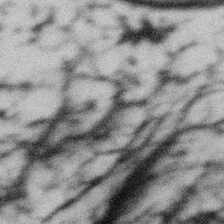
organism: Gemmata obscuriglobus